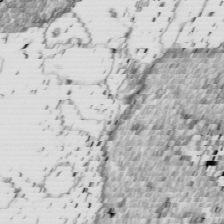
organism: Drosophila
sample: Cell division; meiosis; drosophila spermatocytes